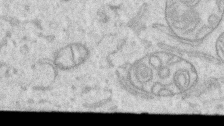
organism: Human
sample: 1205lu cells